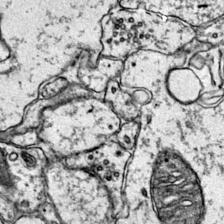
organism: Mouse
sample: Primary visual cortex